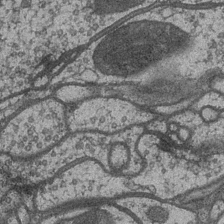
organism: Drosophila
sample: Optic medulla